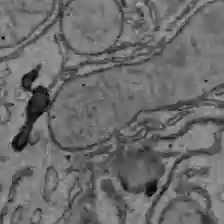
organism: C57BL Mouse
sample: Liver